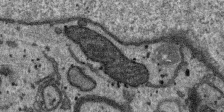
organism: Human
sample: Lung epithelial cells, uninfected (mock) control